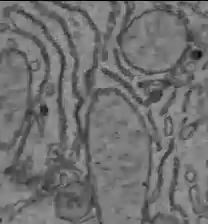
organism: C57BL Mouse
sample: Liver